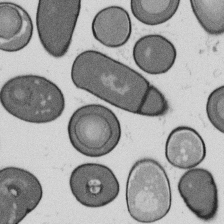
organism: B. subtilis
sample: Bacterial spore